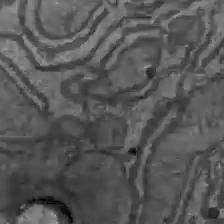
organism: C57BL Mouse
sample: Liver